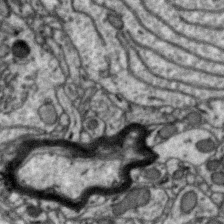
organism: Zebra finch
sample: Brain